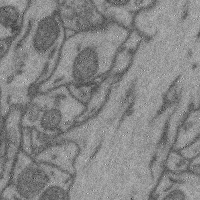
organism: Mouse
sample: Cerebral cortex